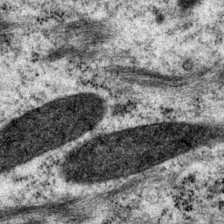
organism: P. pacificus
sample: Pharynx